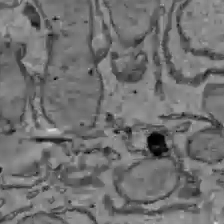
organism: C57BL Mouse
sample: Liver